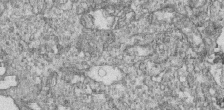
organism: Human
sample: HeLa cell HIV synapse